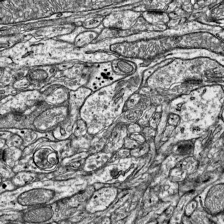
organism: Mouse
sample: Visual Cortex